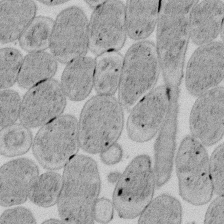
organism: E. coli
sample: Bacterial nucleoid